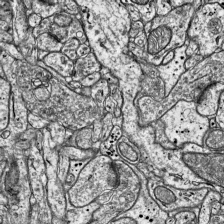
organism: Mouse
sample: Visual Cortex